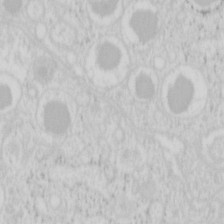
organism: Mouse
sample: Pancreas